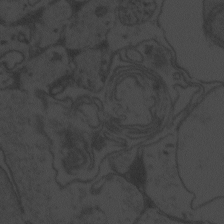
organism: Zebrafish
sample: Macrophage infected with Toxoplasma gondii